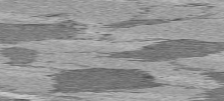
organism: C57BL Mouse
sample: Heart